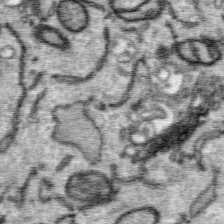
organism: Human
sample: HeLa cells